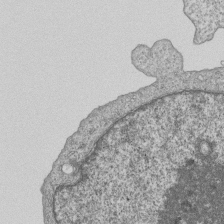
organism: Human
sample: MDA-MB-231 cells